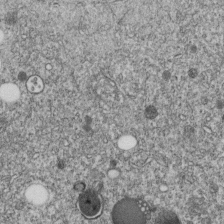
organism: C. elegans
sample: C. elegans embryo early stage